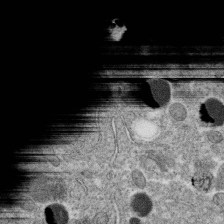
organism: C. elegans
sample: C. elegans oocyte; sperm cells